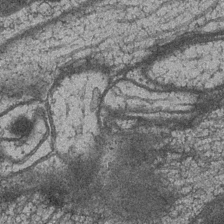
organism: Drosophila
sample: Optic medulla